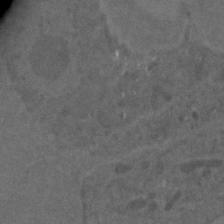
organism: C. elegans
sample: C. elegans embryo